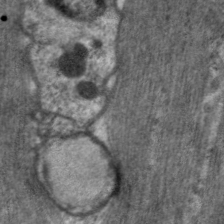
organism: C. elegans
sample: Pharynx